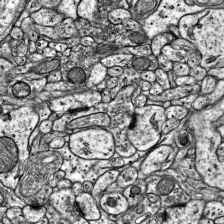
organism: Mouse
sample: Visual Cortex